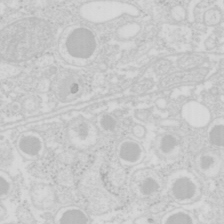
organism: Mouse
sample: Pancreas